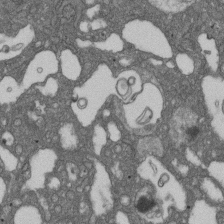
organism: Drosophila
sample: Nephrocyte